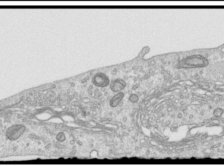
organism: Human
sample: Centriole in RPE cells